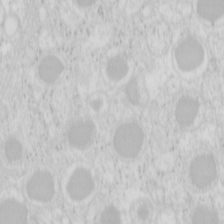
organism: Mouse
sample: Pancreas